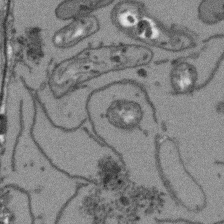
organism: Arabidopsis thaliana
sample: Root tip